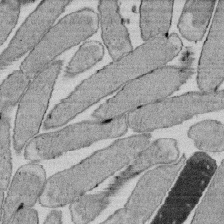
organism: E. coli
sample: Bacterial nucleoid